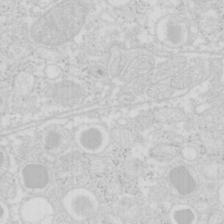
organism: Mouse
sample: Pancreas